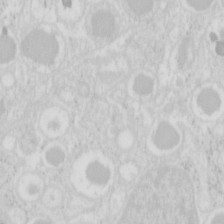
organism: Mouse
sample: Pancreas